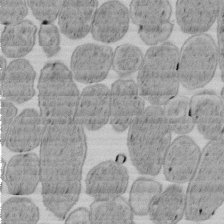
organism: E. coli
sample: Bacterial nucleoid